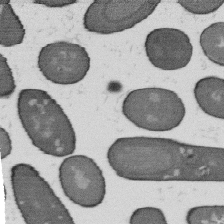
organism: B. subtilis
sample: Bacterial spore